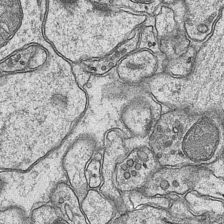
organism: Mouse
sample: CA1 Hippocampus